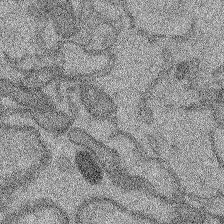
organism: Human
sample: HeLa cells